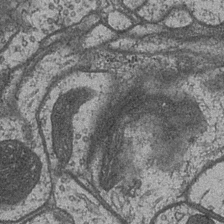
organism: Drosophila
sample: Optic medulla